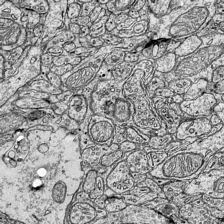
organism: Mouse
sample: Visual Cortex